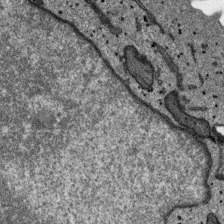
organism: Human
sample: Lung epithelial cells, uninfected (mock) control